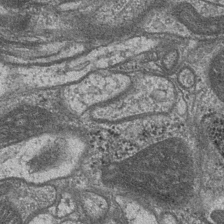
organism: Drosophila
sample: Optic medulla